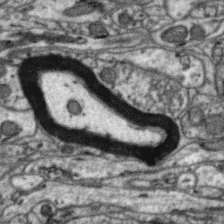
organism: Zebra finch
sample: Brain